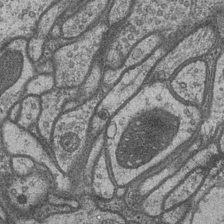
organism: Drosophila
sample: Optic medulla